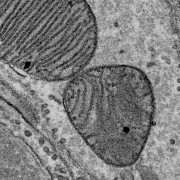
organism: Mouse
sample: Mouse Salivary gland